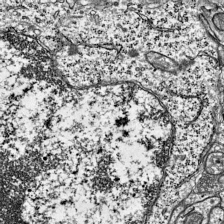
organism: Mouse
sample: Visual Cortex